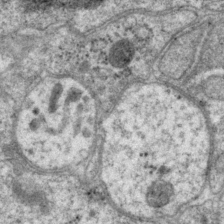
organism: P. pacificus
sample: Pharynx